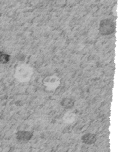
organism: C. elegans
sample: C. elegans embryo early stage